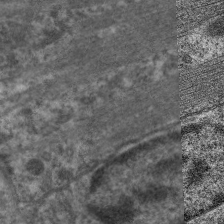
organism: C. elegans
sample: Pharynx